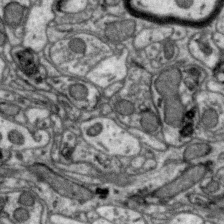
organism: Zebra finch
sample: Brain